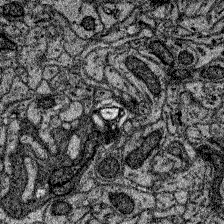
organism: Zebrafish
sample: Larval olfactory bulb